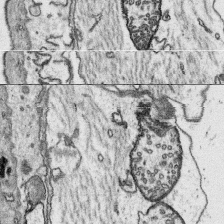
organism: Platynereis dumerilii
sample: Parapodia